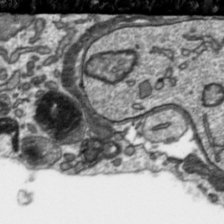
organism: Toxoplasma gondii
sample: Parasites in a vacuole inside a host cell